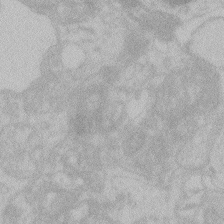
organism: Zebrafish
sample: Macrophage infected with Toxoplasma gondii